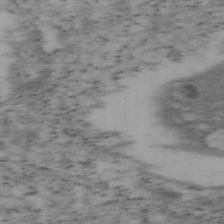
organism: Mouse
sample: OT-I killer T cells with ID8 ovarian cancer cells